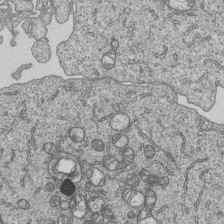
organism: Human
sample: MDA-MB-231 cells